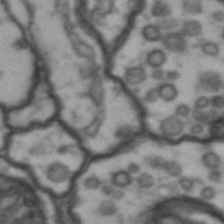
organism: Drosophila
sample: Brain